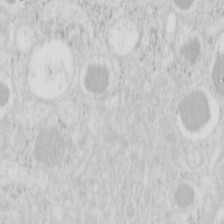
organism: Mouse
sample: Pancreas